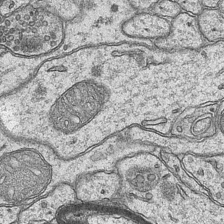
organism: Mouse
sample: CA1 Hippocampus